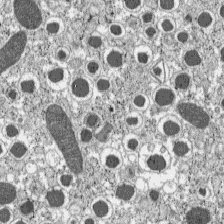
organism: C57BL Mouse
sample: Pancreatic islet